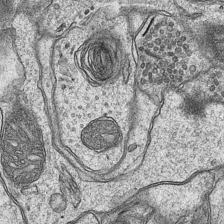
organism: Mouse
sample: CA1 Hippocampus